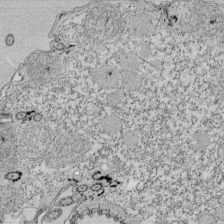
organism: Tetrahymena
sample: Cilia in tetrahymena